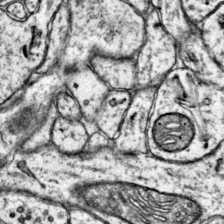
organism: Mouse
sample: Primary visual cortex